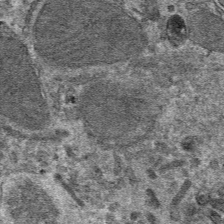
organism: Mouse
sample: Mouse hepatocytes